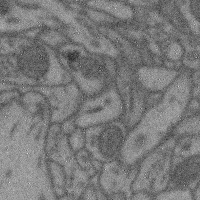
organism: Mouse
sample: Cerebral cortex